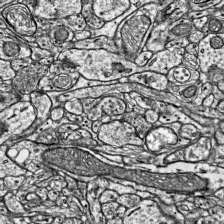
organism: Mouse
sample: Visual Cortex